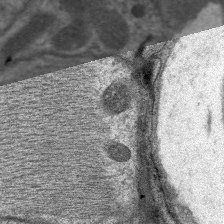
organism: C. elegans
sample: Pharynx